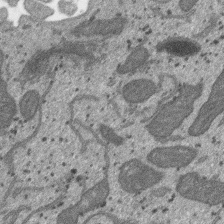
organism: Human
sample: Lung epithelial cells infected with SARS-CoV-2